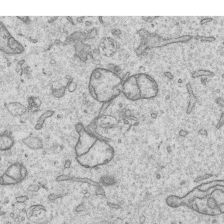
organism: Human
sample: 1205lu cells